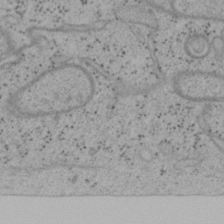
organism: Human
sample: HeLa cells